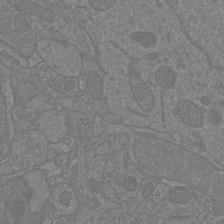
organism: Mouse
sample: Cortical neurons